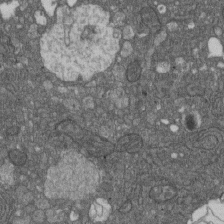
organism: Drosophila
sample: Nephrocyte